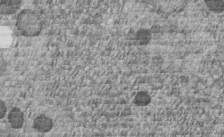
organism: C. elegans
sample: C. elegans embryo early stage